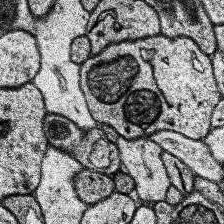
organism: Human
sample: Temporal Lobe